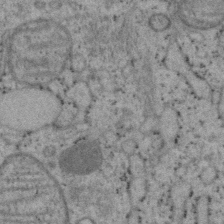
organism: Human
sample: HeLa cells